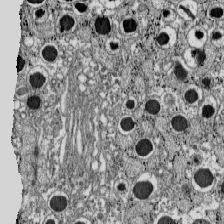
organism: C57BL Mouse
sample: Pancreatic islet